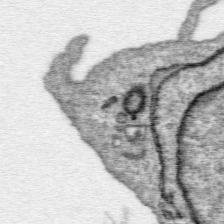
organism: Human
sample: HeLa cells